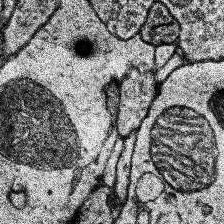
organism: Human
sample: Temporal Lobe